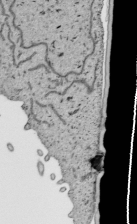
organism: Human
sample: Mitochondria in HCT116 cells